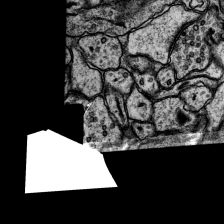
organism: Rat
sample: Hippocampus